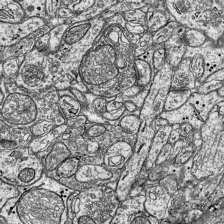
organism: Mouse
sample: Visual Cortex